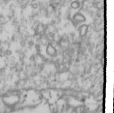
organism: Drosophila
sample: Cell division; meiosis; drosophila spermatocytes